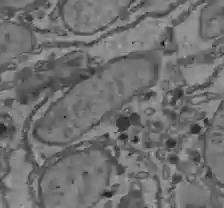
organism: C57BL Mouse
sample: Liver